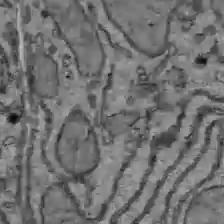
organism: C57BL Mouse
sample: Liver